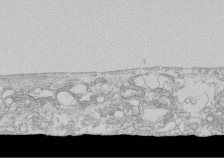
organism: Human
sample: CRL-1474